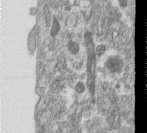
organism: Human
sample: Centriole in RPE cells